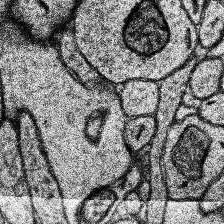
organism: Human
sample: Temporal Lobe